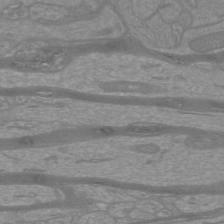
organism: Mouse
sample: Cortical neurons